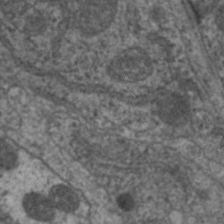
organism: C. elegans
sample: Pharynx